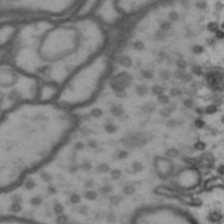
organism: Drosophila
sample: Brain